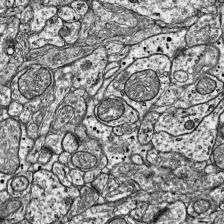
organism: Mouse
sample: Visual Cortex